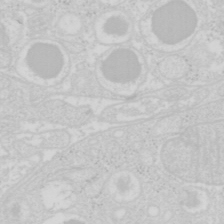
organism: Mouse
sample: Pancreas